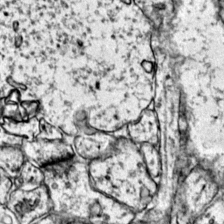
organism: Mouse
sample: Primary visual cortex